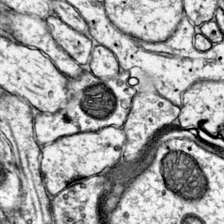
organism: Mouse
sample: Primary visual cortex